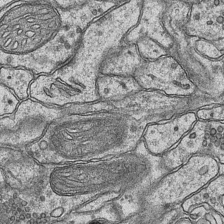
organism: Mouse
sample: CA1 Hippocampus